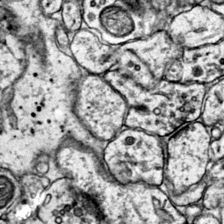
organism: Mouse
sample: Primary visual cortex